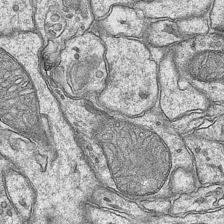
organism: Mouse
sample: CA1 Hippocampus